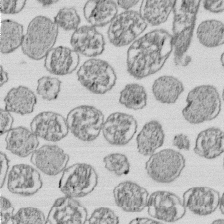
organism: E. coli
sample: Bacterial nucleoid